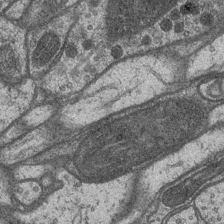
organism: Drosophila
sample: Optic medulla